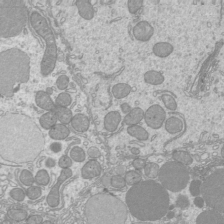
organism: Mouse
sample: Cilia; mouse epididymis